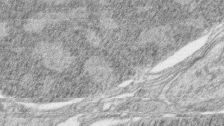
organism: Zebrafish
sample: synaptic ribbons in rod cells and cone cells